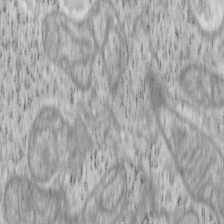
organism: Human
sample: HeLa cells